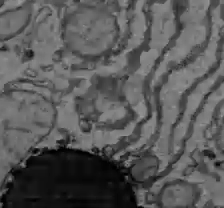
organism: C57BL Mouse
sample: Liver